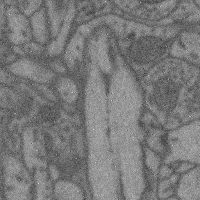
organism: Mouse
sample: Cerebral cortex